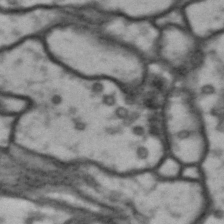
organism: Drosophila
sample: Brain